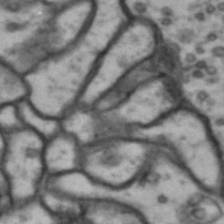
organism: Drosophila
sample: Brain